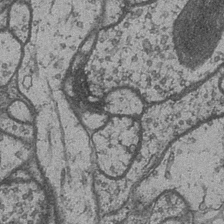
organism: Drosophila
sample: Optic medulla